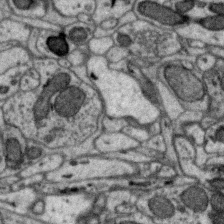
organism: Zebra finch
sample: Brain